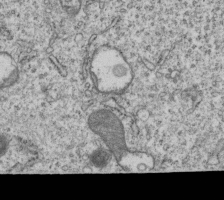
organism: Human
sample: MDA-MB-231 cells